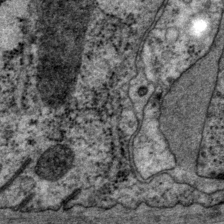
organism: P. pacificus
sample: Pharynx